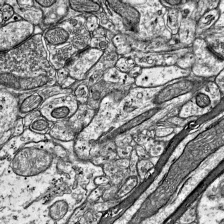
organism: Mouse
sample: Visual Cortex